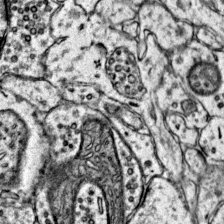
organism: Mouse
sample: Primary visual cortex